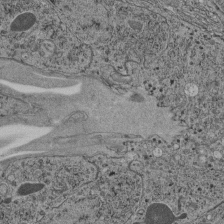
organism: C. elegans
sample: C. elegans pharynx